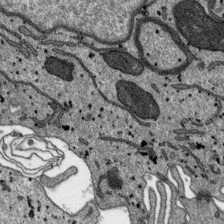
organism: Human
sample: Lung epithelial cells, uninfected (mock) control